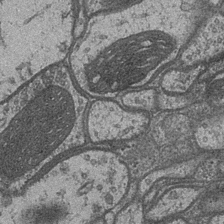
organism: Drosophila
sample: Optic medulla